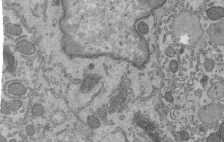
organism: Mouse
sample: Mouse epididymis efferent ductule cilia